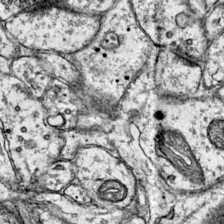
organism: Mouse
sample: Primary visual cortex